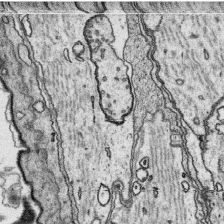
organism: Platynereis dumerilii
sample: Parapodia